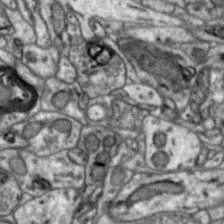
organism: Zebra finch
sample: Brain